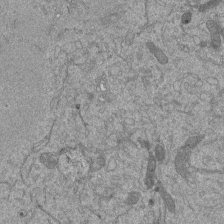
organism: Mouse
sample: ED-1 cell nuclei; centrioles